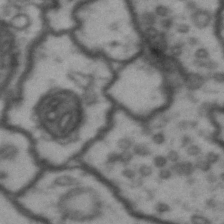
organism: Drosophila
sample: Brain